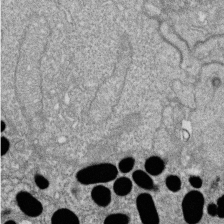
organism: Zebrafish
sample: Cilia; retinal pigment epithelium